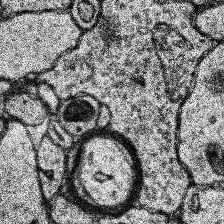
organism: Human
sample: Temporal Lobe